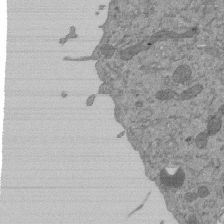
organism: Mouse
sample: ED-1 cell nuclei; centrioles